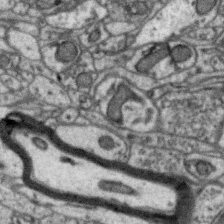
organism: Zebra finch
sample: Brain